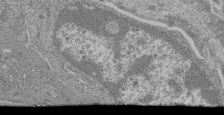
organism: Mouse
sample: Glomerulus